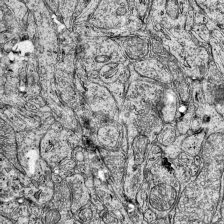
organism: Mouse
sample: Visual Cortex